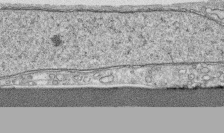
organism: Human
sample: CRL-1474